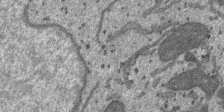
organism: Human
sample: Lung epithelial cells infected with SARS-CoV-2